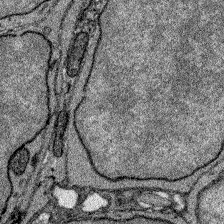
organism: Zebrafish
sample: Larval olfactory bulb